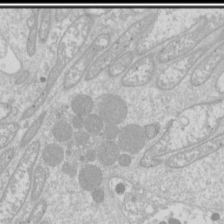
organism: Drosophila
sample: Cell division; meiosis; drosophila spermatocytes